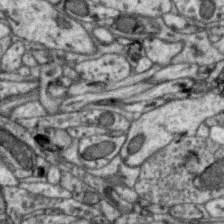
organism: Zebra finch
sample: Brain